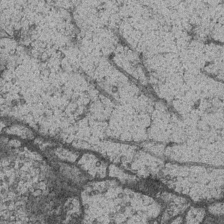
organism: Drosophila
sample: Optic medulla